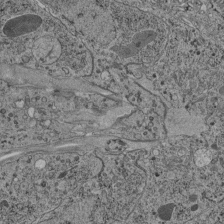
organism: C. elegans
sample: C. elegans pharynx